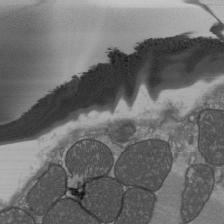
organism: C57BL Mouse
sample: Heart